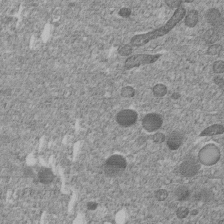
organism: C. elegans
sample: C. elegans embryo early stage